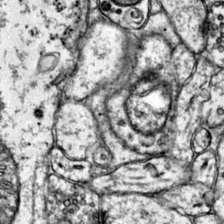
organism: Mouse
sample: Primary visual cortex